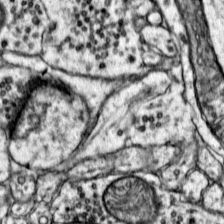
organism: Mouse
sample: Primary visual cortex